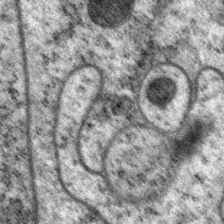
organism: P. pacificus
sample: Pharynx